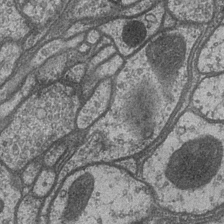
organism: Drosophila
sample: Optic medulla